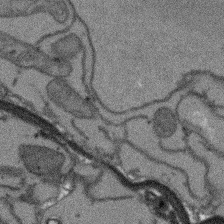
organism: Arabidopsis thaliana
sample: Root tip